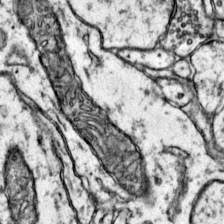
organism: Mouse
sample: Primary visual cortex